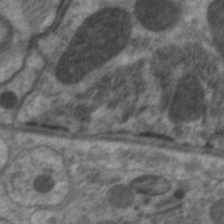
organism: C. elegans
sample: Pharynx